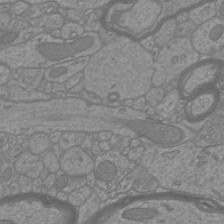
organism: Mouse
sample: Cortical neurons